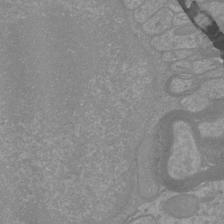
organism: Mouse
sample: Cortical neurons